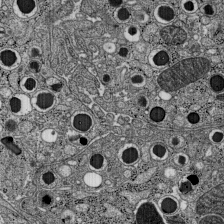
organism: C57BL Mouse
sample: Pancreatic islet